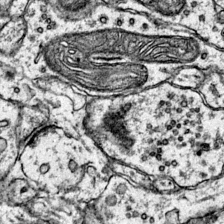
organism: Mouse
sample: Primary visual cortex